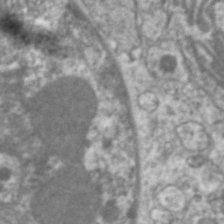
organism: C. elegans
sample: Pharynx